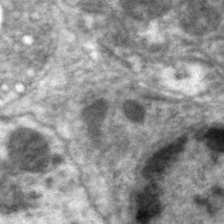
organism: C. elegans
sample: Pharynx